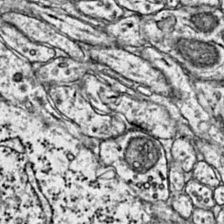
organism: Mouse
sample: Primary visual cortex